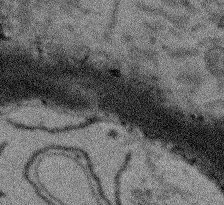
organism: Arabidopsis thaliana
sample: Root tip